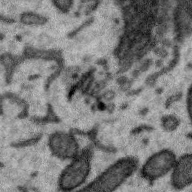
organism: Zebra finch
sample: Brain